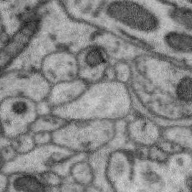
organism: Zebra finch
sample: Brain